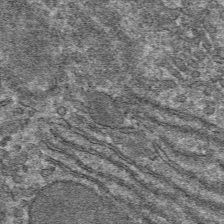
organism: Mouse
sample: Mouse hepatocytes